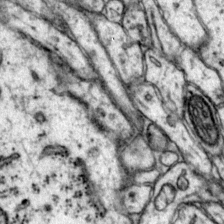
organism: Mouse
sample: Primary visual cortex